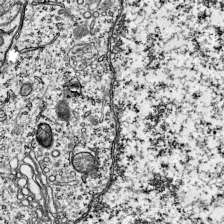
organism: Mouse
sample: Visual Cortex